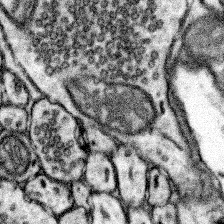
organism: Mouse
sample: Somatosensory cortex neuropil